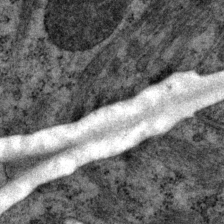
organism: P. pacificus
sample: Pharynx